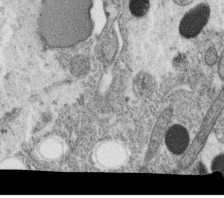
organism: C. elegans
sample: C. elegans oocyte; sperm cells